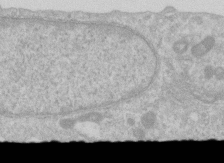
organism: Human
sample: Centriole in RPE cells